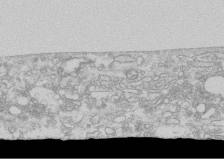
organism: Human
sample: CRL-1474